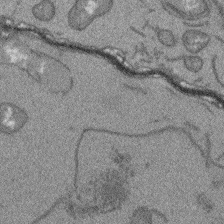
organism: Arabidopsis thaliana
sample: Root tip